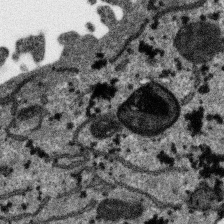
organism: Human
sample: Lung epithelial cells infected with SARS-CoV-2